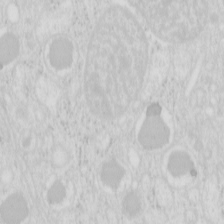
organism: Mouse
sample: Pancreas